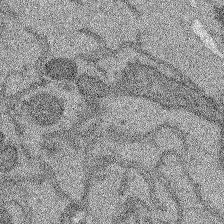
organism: Human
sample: HeLa cells